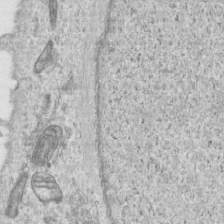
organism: Human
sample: Centriole in RPE cells